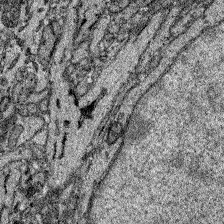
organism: Zebrafish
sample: Larval olfactory bulb